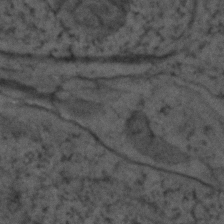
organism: Zebrafish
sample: Zebrafish embryo